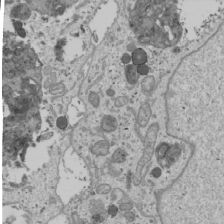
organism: Human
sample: Mitochondria in U2OS cells